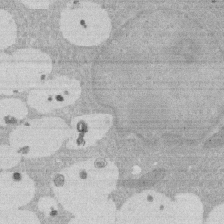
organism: Rat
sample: Salivary granule